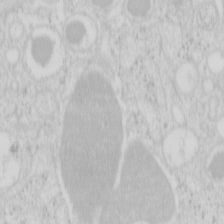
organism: Mouse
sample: Pancreas